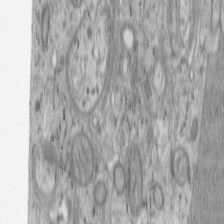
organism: Human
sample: HeLa cells